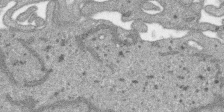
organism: Human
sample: Lung epithelial cells infected with SARS-CoV-2